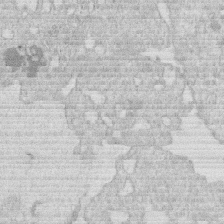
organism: Human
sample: Macrophage cells